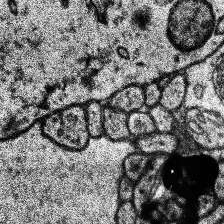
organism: Human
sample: Temporal Lobe